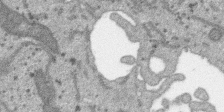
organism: Human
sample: Lung epithelial cells infected with SARS-CoV-2